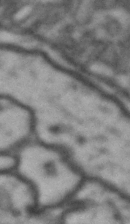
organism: Drosophila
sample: Brain